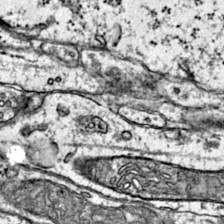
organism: Mouse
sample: Primary visual cortex